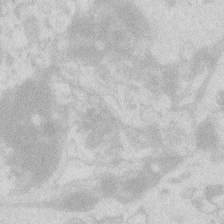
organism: Zebrafish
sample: Macrophage